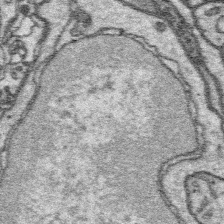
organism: Platynereis dumerilii